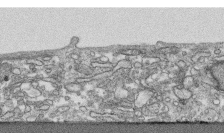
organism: Human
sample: CRL-1474